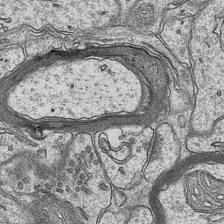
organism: Mouse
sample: CA1 Hippocampus